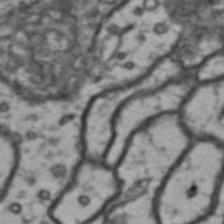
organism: Drosophila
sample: Brain